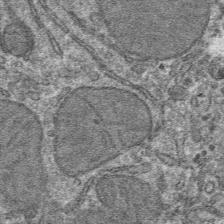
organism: Mouse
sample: Mouse hepatocytes